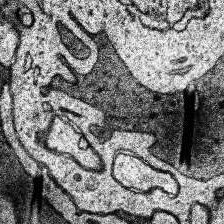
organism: Human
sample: Temporal Lobe